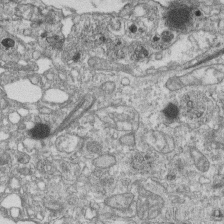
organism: Human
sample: HeLa cell HIV synapse